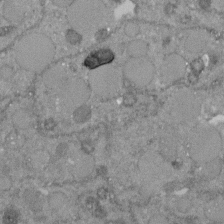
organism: C. elegans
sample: C. elegans embryo early stage